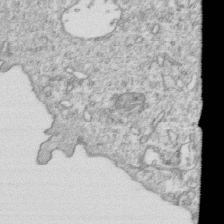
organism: Mouse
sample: Activated OT-1 CD8+ T cells